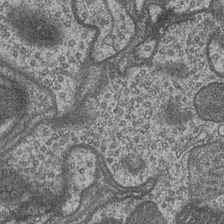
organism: Drosophila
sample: Optic medulla